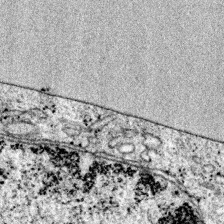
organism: Human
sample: HeLa cells